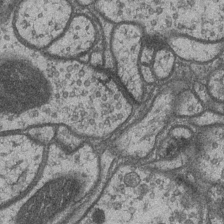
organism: Drosophila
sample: Optic medulla